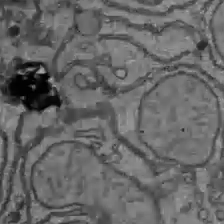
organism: C57BL Mouse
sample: Liver